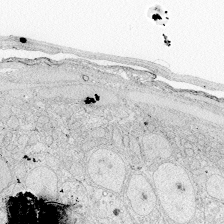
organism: Zebrafish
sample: Whole-Brain